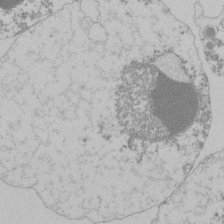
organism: Mouse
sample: Activated Pmel transgenic CD8+ T Cells